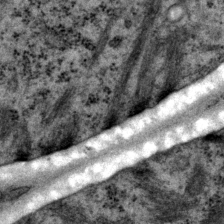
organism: P. pacificus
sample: Pharynx